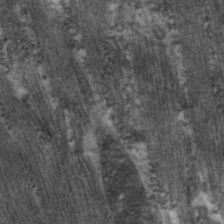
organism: C. elegans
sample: Pharynx